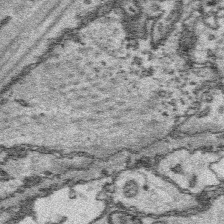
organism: Platynereis dumerilii